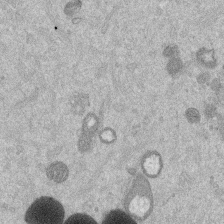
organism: Mouse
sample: Dividing mouse embryo 1 cell stage